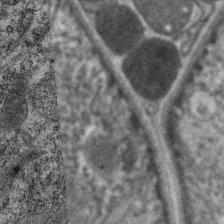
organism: C. elegans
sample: Pharynx